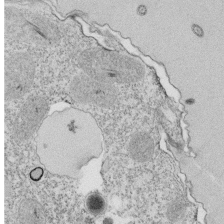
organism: Tetrahymena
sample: Cilia in tetrahymena